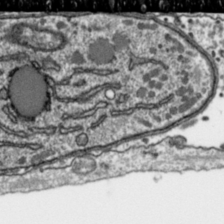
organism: Toxoplasma gondii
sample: Parasites in a vacuole inside a host cell